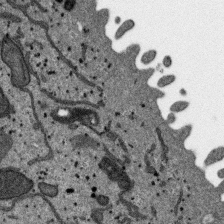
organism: Human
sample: Lung epithelial cells, uninfected (mock) control